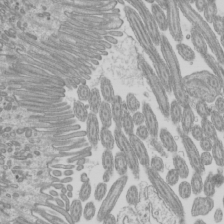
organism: Mouse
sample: Cilia; mouse epididymis